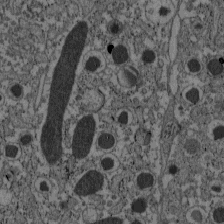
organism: C57BL Mouse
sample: Pancreatic islet